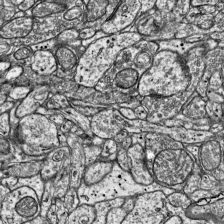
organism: Mouse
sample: Visual Cortex